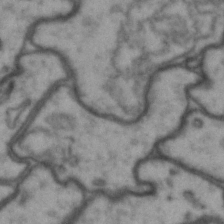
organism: Drosophila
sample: Brain